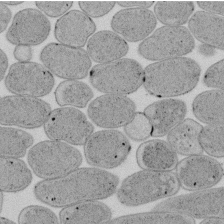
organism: E. coli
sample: Bacterial nucleoid